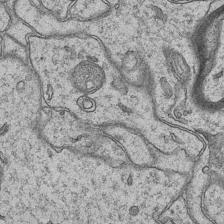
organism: Mouse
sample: CA1 Hippocampus